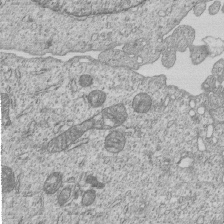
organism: Human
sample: MDA-MB-231 cells